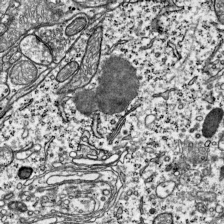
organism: Mouse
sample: Visual Cortex